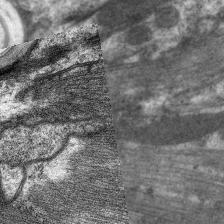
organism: C. elegans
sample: Pharynx